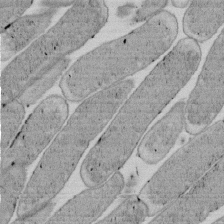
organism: E. coli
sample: Bacterial nucleoid